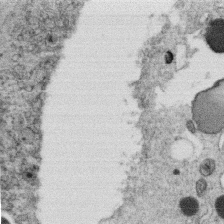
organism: C. elegans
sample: C. elegans oocyte; sperm cells